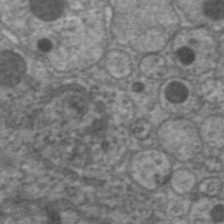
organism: C. elegans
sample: Pharynx